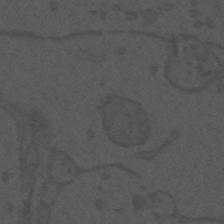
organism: Mouse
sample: Suprachiasmatic nucleus